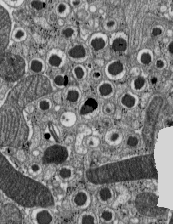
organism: C57BL Mouse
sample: Pancreatic islet